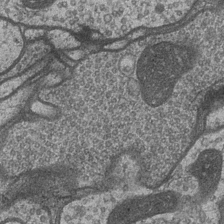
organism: Drosophila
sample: Optic medulla